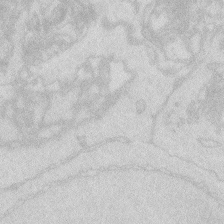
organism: Zebrafish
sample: Macrophage